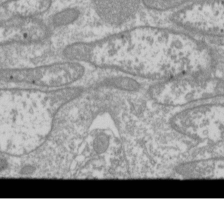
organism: Drosophila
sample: Cell division; meiosis; drosophila spermatocytes